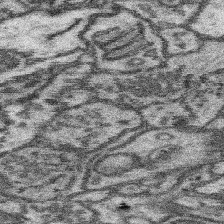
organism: Mouse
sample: Somatosensory cortex neuropil